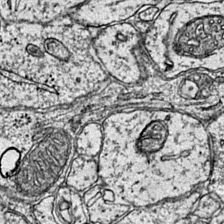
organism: Mouse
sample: Primary visual cortex